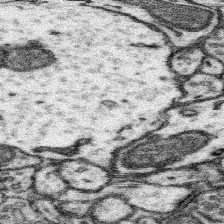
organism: Mouse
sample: Somatosensory cortex neuropil